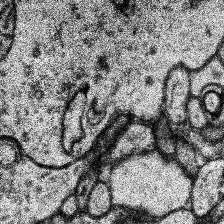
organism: Human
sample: Temporal Lobe